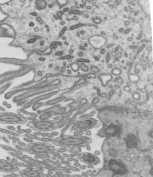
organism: Mouse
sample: Mouse epididymis efferent ductule cilia